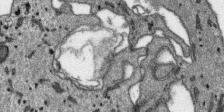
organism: Human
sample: Lung epithelial cells, uninfected (mock) control